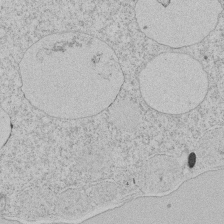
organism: Tetrahymena